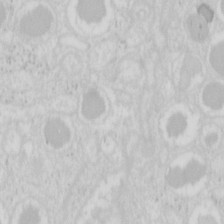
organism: Mouse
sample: Pancreas